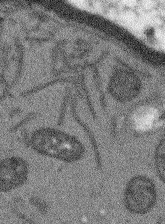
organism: Arabidopsis thaliana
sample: Root tip